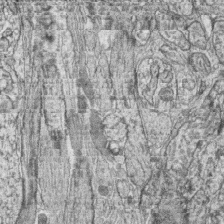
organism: Zebrafish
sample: synaptic ribbons in rod cells and cone cells